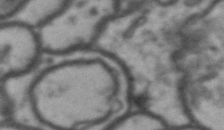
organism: Drosophila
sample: Brain